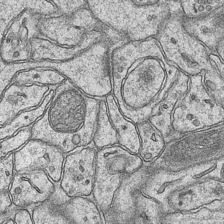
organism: Mouse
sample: CA1 Hippocampus